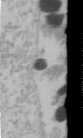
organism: Human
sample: U2-OS cells